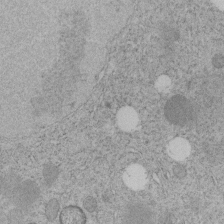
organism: C. elegans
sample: C. elegans embryo early stage